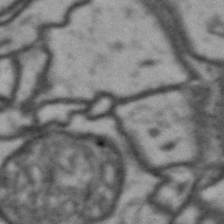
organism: Drosophila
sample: Brain